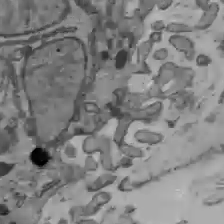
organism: C57BL Mouse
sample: Liver